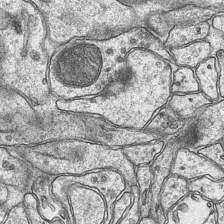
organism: Mouse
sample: CA1 Hippocampus